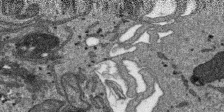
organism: Human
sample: Lung epithelial cells infected with SARS-CoV-2